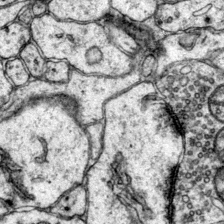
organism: Mouse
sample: Primary visual cortex